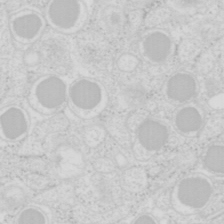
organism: Mouse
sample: Pancreas